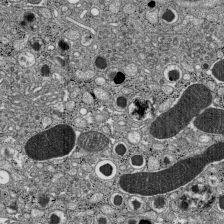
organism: C57BL Mouse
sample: Pancreatic islet